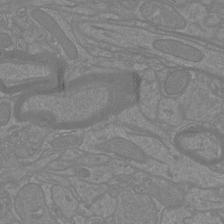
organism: Mouse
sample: Cortical neurons